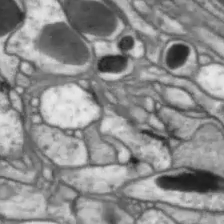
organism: Drosophila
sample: Optic lobe